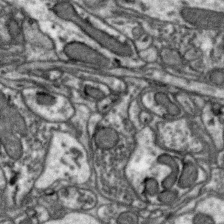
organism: Zebra finch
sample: Brain